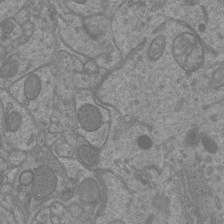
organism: Mouse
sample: Cortical neurons